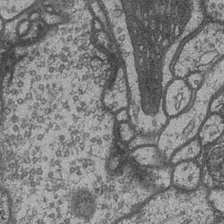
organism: Drosophila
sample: Optic medulla